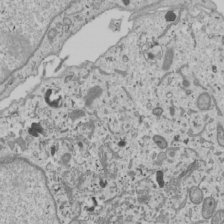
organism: Human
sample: Mitochondria in U2OS cells